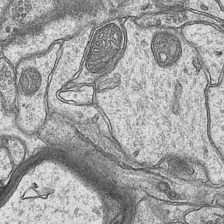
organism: Mouse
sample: CA1 Hippocampus